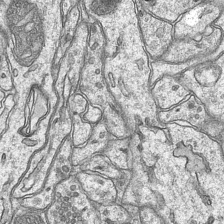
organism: Mouse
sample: CA1 Hippocampus